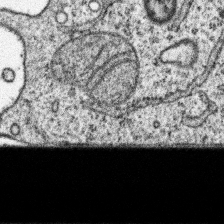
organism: Human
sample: HeLa cells